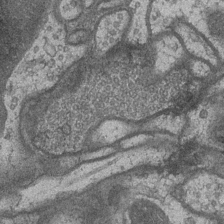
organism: Drosophila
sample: Optic medulla